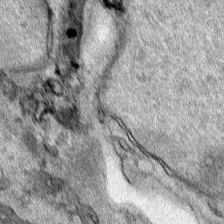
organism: Human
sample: Mitochondria in HCT116 cells